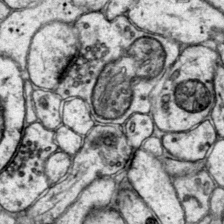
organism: Mouse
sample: Primary visual cortex